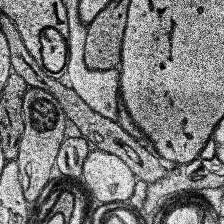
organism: Human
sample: Temporal Lobe